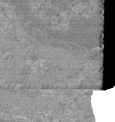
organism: Mouse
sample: Glomerulus